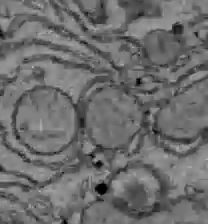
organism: C57BL Mouse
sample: Liver